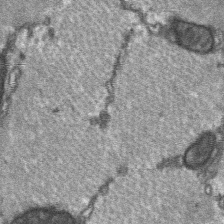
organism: C57BL Mouse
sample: Soleus